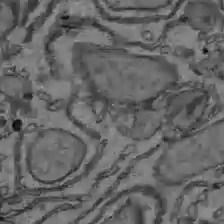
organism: C57BL Mouse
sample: Liver